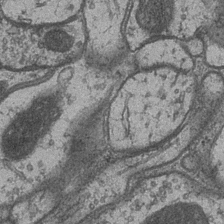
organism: Drosophila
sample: Optic medulla